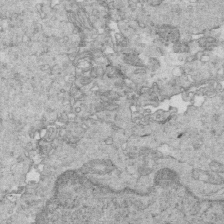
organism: Mouse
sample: Multiciliated cells